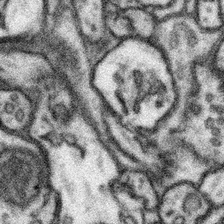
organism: Mouse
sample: Somatosensory cortex neuropil